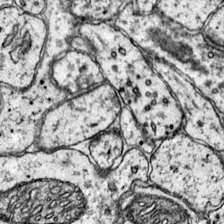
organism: Mouse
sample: Primary visual cortex